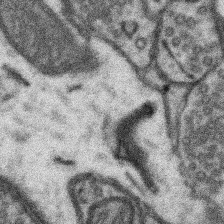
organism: Mouse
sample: Somatosensory cortex neuropil